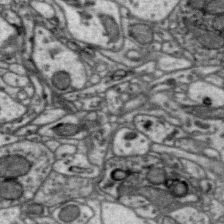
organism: Zebra finch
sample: Brain